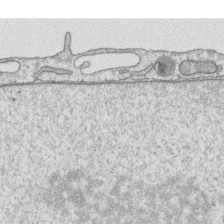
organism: Human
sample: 1205lu cells